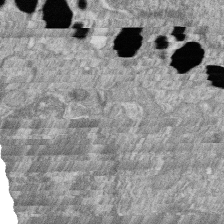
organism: Zebrafish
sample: Cilia; retinal pigment epithelium